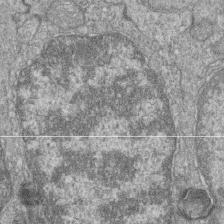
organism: Zebrafish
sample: Cilia; retinal pigment epithelium